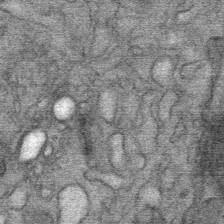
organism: Mouse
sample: Mouse Salivary gland